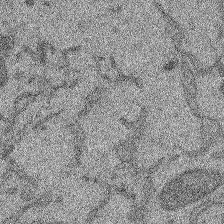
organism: Human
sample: HeLa cells